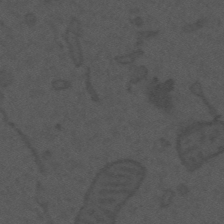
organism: Mouse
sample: Suprachiasmatic nucleus